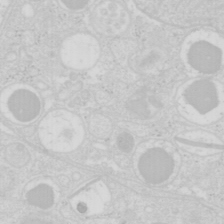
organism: Mouse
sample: Pancreas